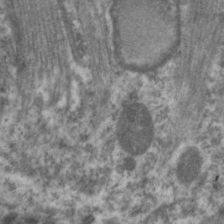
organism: C. elegans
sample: Pharynx